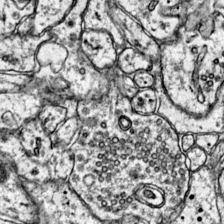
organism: Mouse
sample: Primary visual cortex